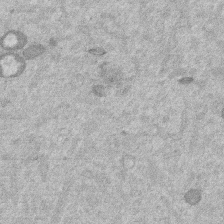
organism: Mouse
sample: Dividing mouse embryo 1 cell stage